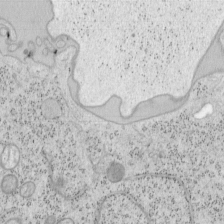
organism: Mouse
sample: OT-I killer T cells with ID8 ovarian cancer cells